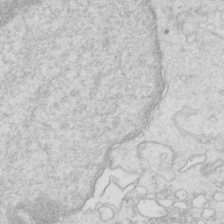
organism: Mouse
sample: Multiciliated cells